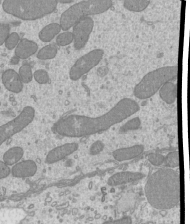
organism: Mouse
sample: Cilia; mouse epididymis